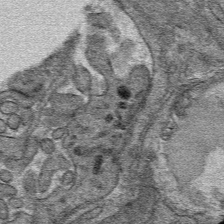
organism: Mouse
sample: Mouse hepatocytes